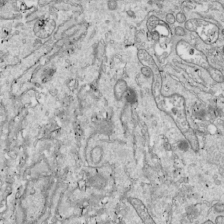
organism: Drosophila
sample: Cell division; meiosis; drosophila spermatocytes